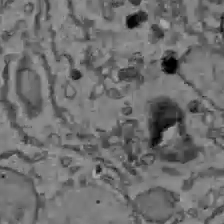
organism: C57BL Mouse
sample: Liver